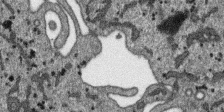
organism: Human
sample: Lung epithelial cells infected with SARS-CoV-2